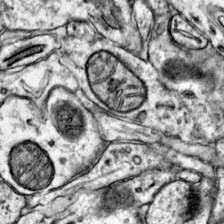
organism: Mouse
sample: Primary visual cortex